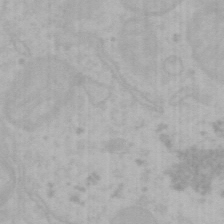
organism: Mouse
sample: Choroid plexus